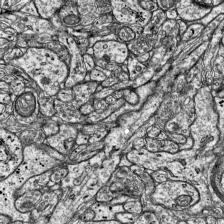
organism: Mouse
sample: Visual Cortex